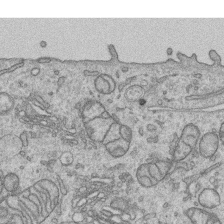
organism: Human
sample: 1205lu cells